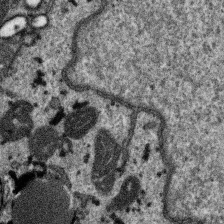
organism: Human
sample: Lung epithelial cells infected with SARS-CoV-2